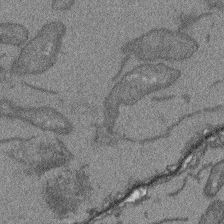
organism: Arabidopsis thaliana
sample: Root tip